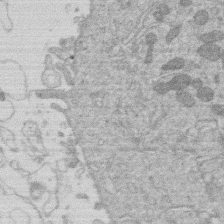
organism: Human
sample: Macrophage cells